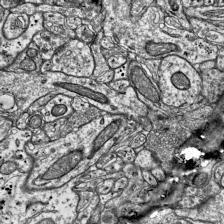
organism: Mouse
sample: Visual Cortex